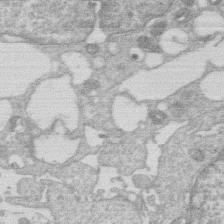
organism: Human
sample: Macrophage cells